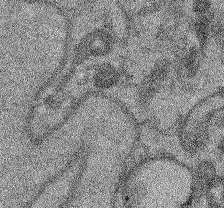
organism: Human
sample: HeLa cells